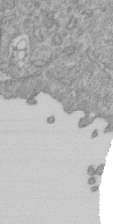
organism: Mouse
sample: ED-1 cell nuclei; centrioles